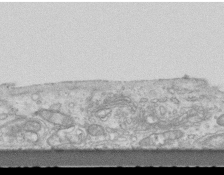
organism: Mouse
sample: Centriole in ependymal cells